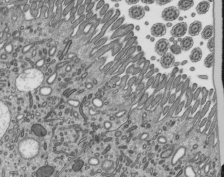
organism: Mouse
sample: Mouse epididymis efferent ductule cilia